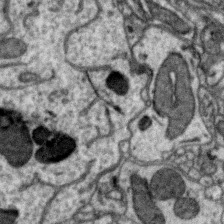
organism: Zebra finch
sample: Brain